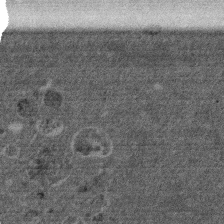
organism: Mouse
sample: Dividing mouse embryo 1 cell stage